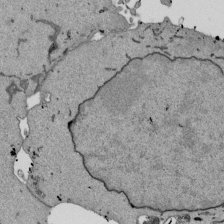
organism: Mouse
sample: ED-1 cell nuclei; centrioles